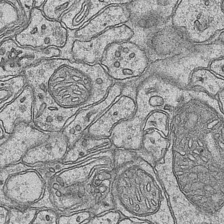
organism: Mouse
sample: CA1 Hippocampus